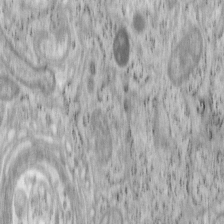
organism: Human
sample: HeLa cells